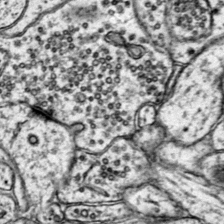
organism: Mouse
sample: Primary visual cortex